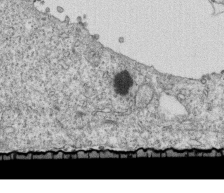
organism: Human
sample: HeLa cell HIV synapse